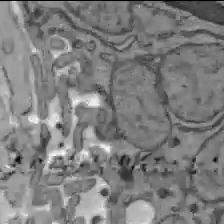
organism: C57BL Mouse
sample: Liver